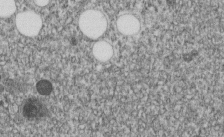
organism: C. elegans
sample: C. elegans embryo early stage